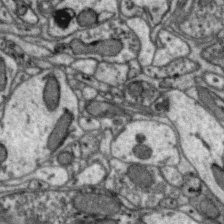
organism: Zebra finch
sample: Brain